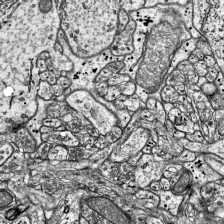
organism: Mouse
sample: Visual Cortex